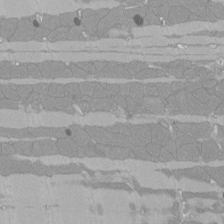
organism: Rat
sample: Left ventricle